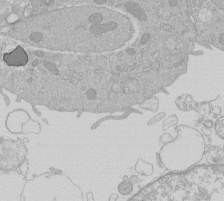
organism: Human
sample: Macrophage cells